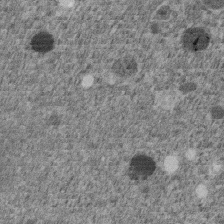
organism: C. elegans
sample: C. elegans embryo early stage